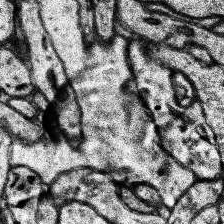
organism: Human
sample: Temporal Lobe